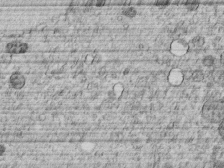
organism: C. elegans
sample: C. elegans embryo early stage